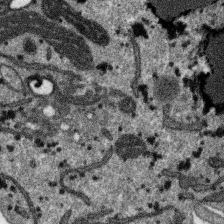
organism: Human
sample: Lung epithelial cells infected with SARS-CoV-2